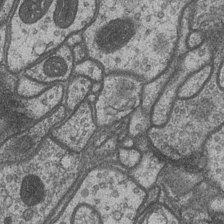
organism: Drosophila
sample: Optic medulla